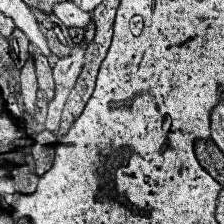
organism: Human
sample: Temporal Lobe